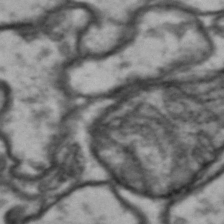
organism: Drosophila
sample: Brain